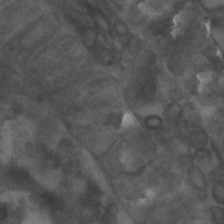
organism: C. elegans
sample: C. elegans embryo